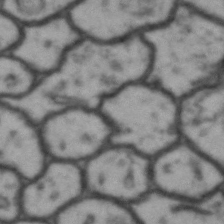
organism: Drosophila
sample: Brain